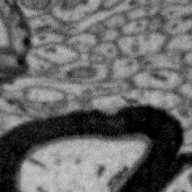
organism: Zebra finch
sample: Brain